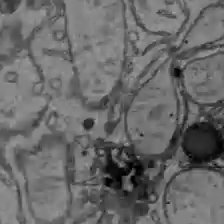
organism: C57BL Mouse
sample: Liver